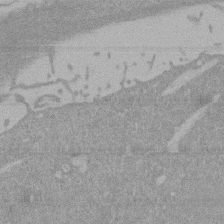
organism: Mouse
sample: ED-1 cell nuclei; centrioles